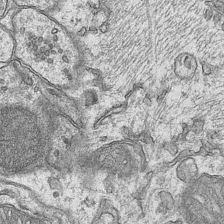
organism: Mouse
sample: CA1 Hippocampus